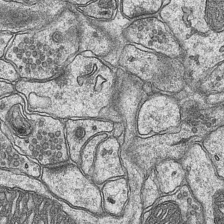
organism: Mouse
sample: CA1 Hippocampus